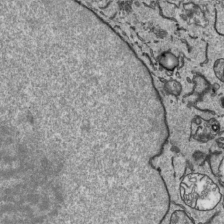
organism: Human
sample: Mitochondria in HCT116 cells